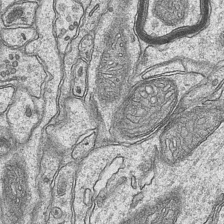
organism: Mouse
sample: CA1 Hippocampus